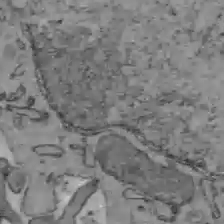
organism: C57BL Mouse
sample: Liver